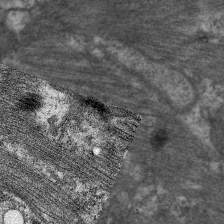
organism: C. elegans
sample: Pharynx